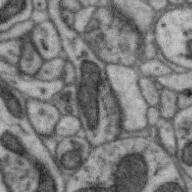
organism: Zebra finch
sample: Brain